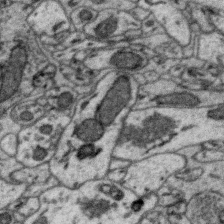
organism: Zebra finch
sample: Brain